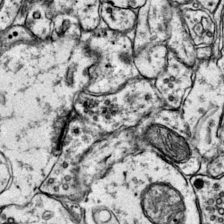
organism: Mouse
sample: Primary visual cortex